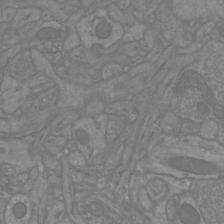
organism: Mouse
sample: Cortical neurons